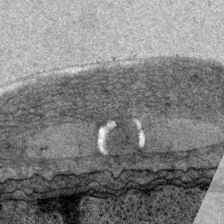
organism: P. pacificus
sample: Pharynx